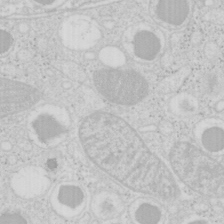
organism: Mouse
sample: Pancreas